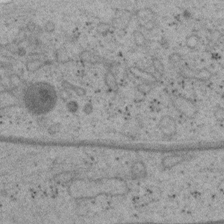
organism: Human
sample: HeLa cells